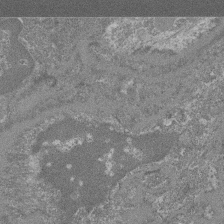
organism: Mouse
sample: Glomerulus